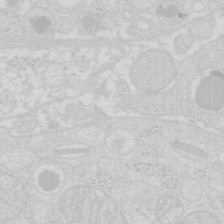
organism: Mouse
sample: Pancreas